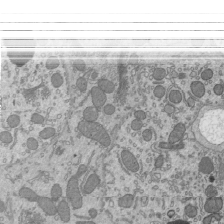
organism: Mouse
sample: Mouse epididymis efferent ductule cilia